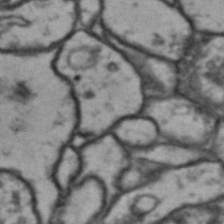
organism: Drosophila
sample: Brain